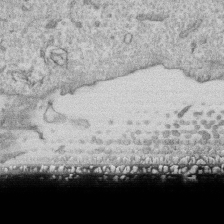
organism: Human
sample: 1205lu cells